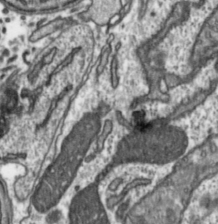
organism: Toxoplasma gondii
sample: Parasites in a vacuole inside a host cell